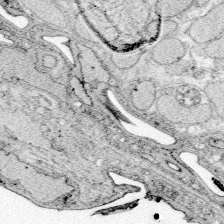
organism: Zebrafish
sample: Whole-Brain